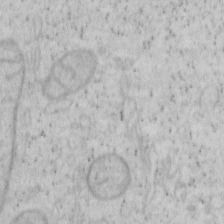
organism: Human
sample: HeLa cells